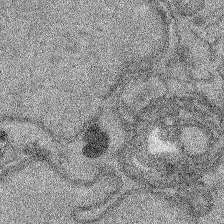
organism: Human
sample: HeLa cells